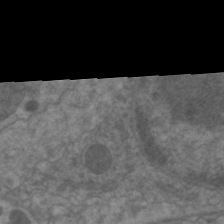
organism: C. elegans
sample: Pharynx